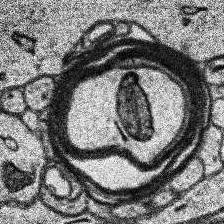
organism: Human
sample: Temporal Lobe